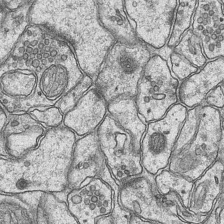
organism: Mouse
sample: CA1 Hippocampus